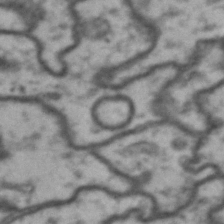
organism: Drosophila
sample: Brain